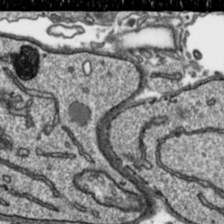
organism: Toxoplasma gondii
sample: Parasites in a vacuole inside a host cell